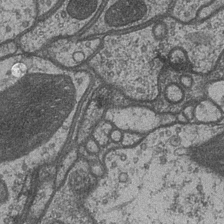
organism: Drosophila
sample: Optic medulla